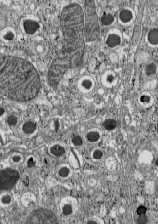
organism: C57BL Mouse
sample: Pancreatic islet